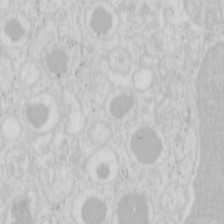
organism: Mouse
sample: Pancreas